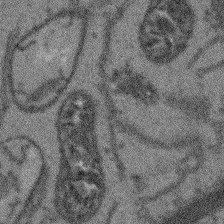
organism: Arabidopsis thaliana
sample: Root tip